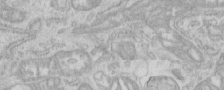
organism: Human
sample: Centriole in RPE cells